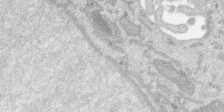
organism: Human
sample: Lung epithelial cells infected with SARS-CoV-2